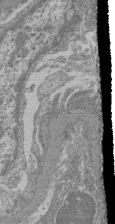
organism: Mouse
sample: Glomerulus